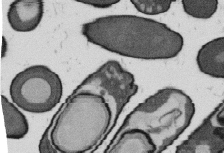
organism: B. subtilis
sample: Bacterial spore